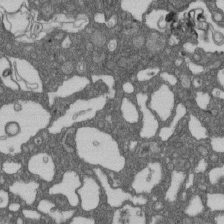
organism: Drosophila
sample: Nephrocyte